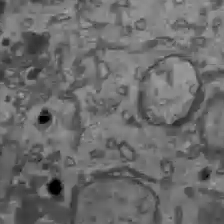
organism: C57BL Mouse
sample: Liver